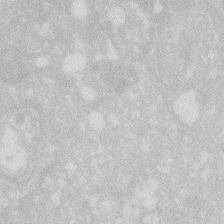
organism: Zebrafish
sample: Macrophage